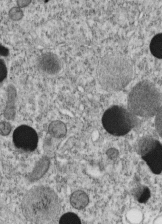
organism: C. elegans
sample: C. elegans embryo early stage